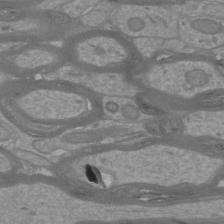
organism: Mouse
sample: Cortical neurons